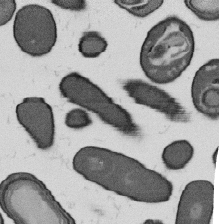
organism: B. subtilis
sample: Bacterial spore